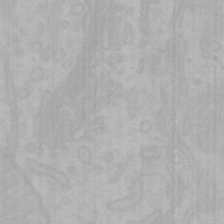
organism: Mouse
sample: Choroid plexus